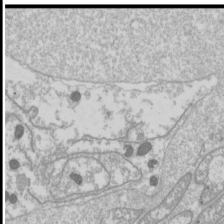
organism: Drosophila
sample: Cell division; meiosis; drosophila spermatocytes